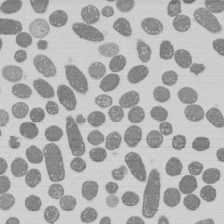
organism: E. coli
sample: Bacterial nucleoid